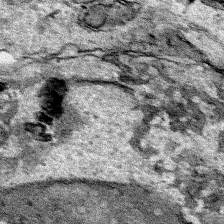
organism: Human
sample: Mitochondria in HCT116 cells